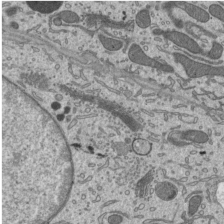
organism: Mouse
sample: Mouse epididymis efferent ductule cilia